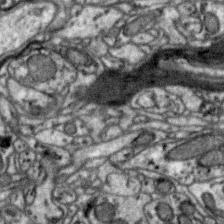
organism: Zebra finch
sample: Brain